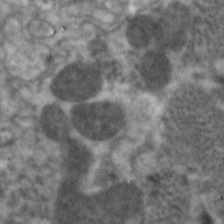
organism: C. elegans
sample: Pharynx